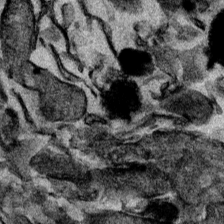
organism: Mouse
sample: Cancer cell death in ED-1 cells